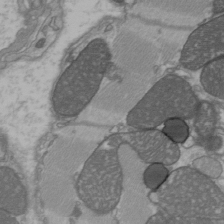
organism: C57BL Mouse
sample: Heart